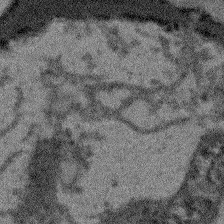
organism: Arabidopsis thaliana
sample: Root tip